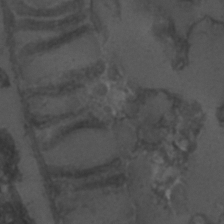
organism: C. elegans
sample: C. elegans embryo